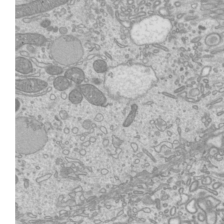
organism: Mouse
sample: Cilia; mouse epididymis